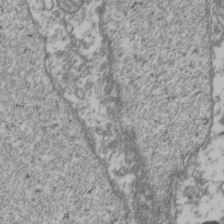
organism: Human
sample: Activated Jurkat CD4+ T cells